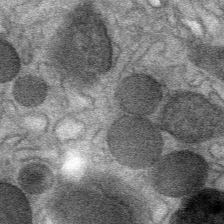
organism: Mouse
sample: Mouse Salivary gland